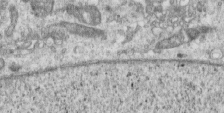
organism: Human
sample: Centriole in RPE cells